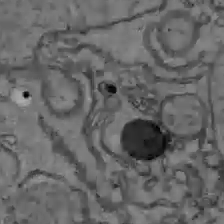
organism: C57BL Mouse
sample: Liver